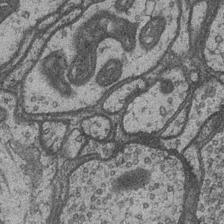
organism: Drosophila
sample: Optic medulla